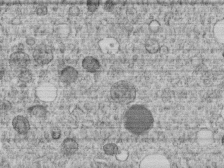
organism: C. elegans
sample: C. elegans embryo early stage